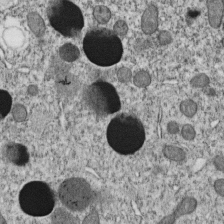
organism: C. elegans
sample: C. elegans embryo early stage